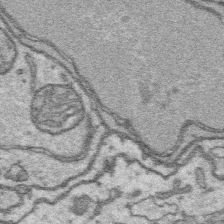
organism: Platynereis dumerilii